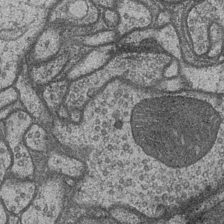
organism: Drosophila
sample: Optic medulla